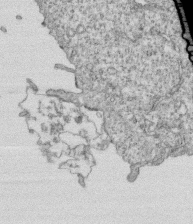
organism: Human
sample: HeLa cell HIV synapse